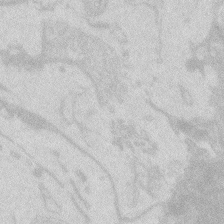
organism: Zebrafish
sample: Macrophage